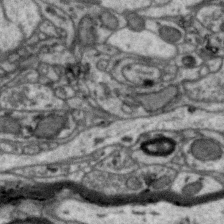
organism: Zebra finch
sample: Brain